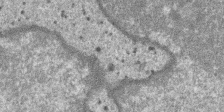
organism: Human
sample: Lung epithelial cells infected with SARS-CoV-2